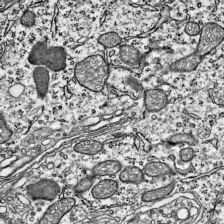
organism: Mouse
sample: Visual Cortex